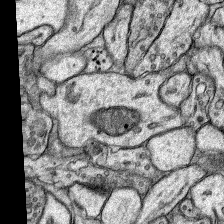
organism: Rat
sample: Hippocampus